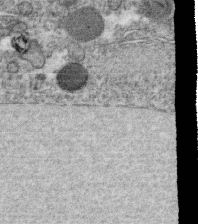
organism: C. elegans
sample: C. elegans oocyte; sperm cells